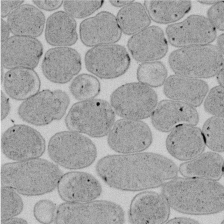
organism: E. coli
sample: Bacterial nucleoid